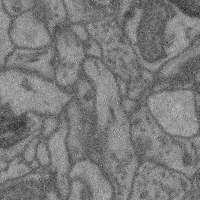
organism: Mouse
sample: Cerebral cortex